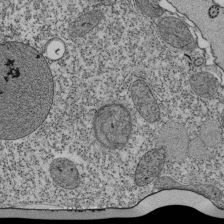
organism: Tetrahymena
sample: Cilia in tetrahymena